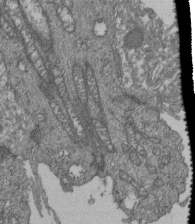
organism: Human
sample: Retinal organoid Rod and Cone cells